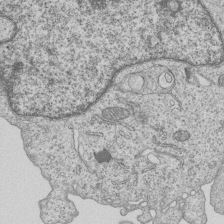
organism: Human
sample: MDA-MB-231 cells